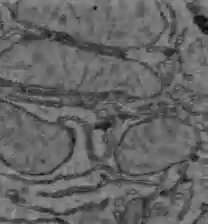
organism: C57BL Mouse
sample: Liver